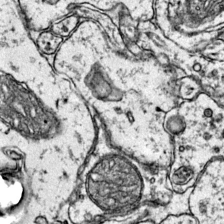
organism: Mouse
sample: Primary visual cortex